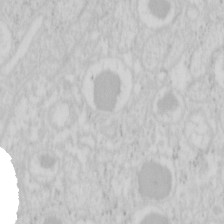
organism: Mouse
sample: Pancreas